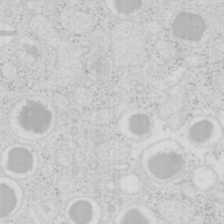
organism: Mouse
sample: Pancreas